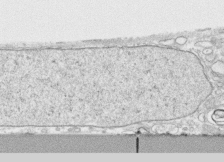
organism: Human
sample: CRL-1474